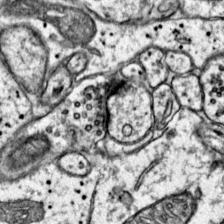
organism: Mouse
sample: Primary visual cortex